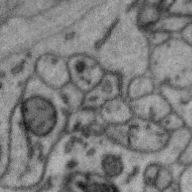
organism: Zebra finch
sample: Brain